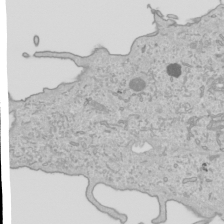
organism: Human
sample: Mitochondria in HCT116 cells